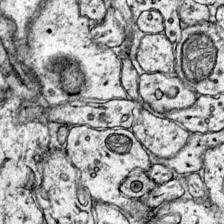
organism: Mouse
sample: Primary visual cortex